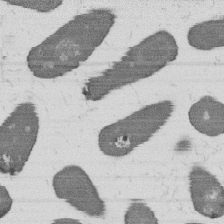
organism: B. subtilis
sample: Bacterial spore